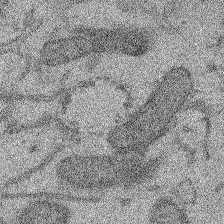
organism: Human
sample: HeLa cells